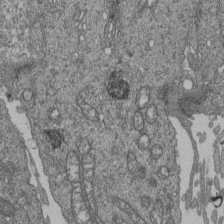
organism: Human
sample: Retinal organoid Rod and Cone cells